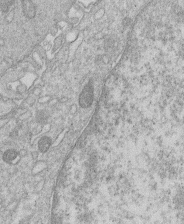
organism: Human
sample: Macrophage cells